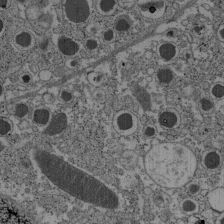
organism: C57BL Mouse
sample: Pancreatic islet